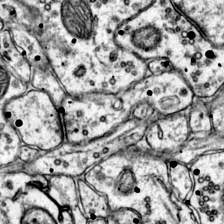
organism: Mouse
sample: Primary visual cortex